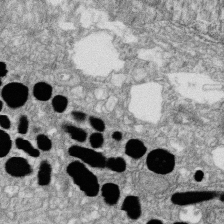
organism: Zebrafish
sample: Cilia; retinal pigment epithelium